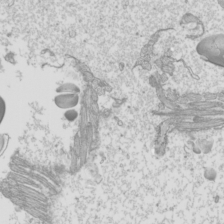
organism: Mouse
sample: Cilia; mouse epididymis